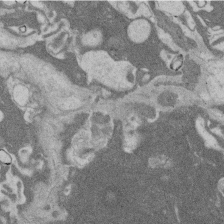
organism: Rat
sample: Salivary granule